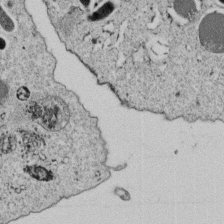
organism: C. elegans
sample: C. elegans embryo early stage